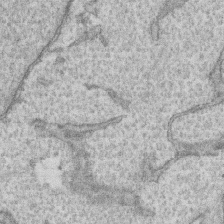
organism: Human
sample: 1205lu cells